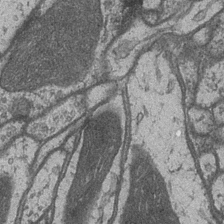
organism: Drosophila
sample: Optic medulla